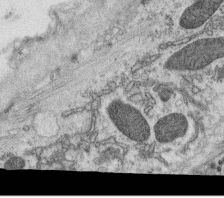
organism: C. elegans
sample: C. elegans oocyte; sperm cells